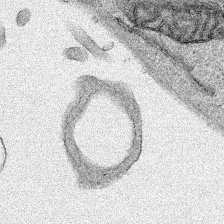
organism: Human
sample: Mitochondria in HCT116 cells